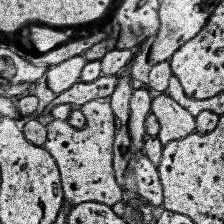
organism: Human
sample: Temporal Lobe